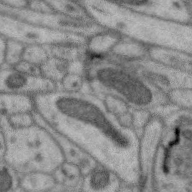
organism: Zebra finch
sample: Brain